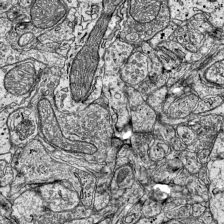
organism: Mouse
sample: Visual Cortex